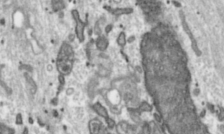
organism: Toxoplasma gondii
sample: Parasites in a vacuole inside a host cell